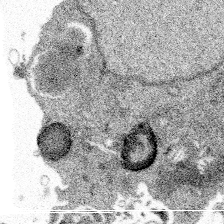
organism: Spongilla lacustris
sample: Multiple